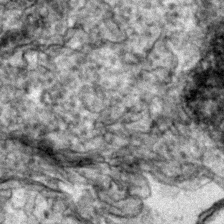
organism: Zebrafish